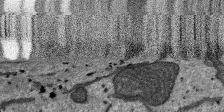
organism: Human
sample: Lung epithelial cells, uninfected (mock) control